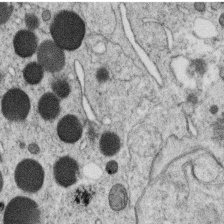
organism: C. elegans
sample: C. elegans oocyte; sperm cells